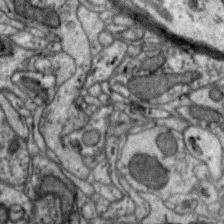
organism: Zebra finch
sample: Brain